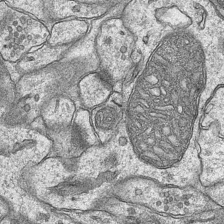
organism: Mouse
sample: CA1 Hippocampus